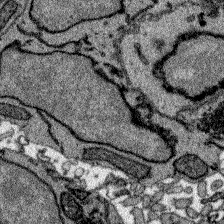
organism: Zebrafish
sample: Larval olfactory bulb